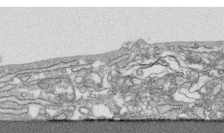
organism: Human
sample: CRL-1474